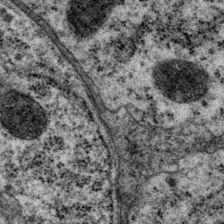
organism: P. pacificus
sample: Pharynx